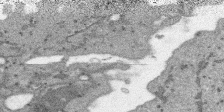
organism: Human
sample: Lung epithelial cells infected with SARS-CoV-2